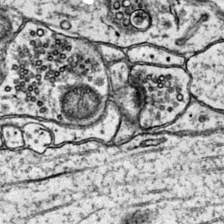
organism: Mouse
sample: Primary visual cortex